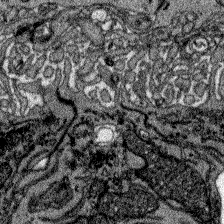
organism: Zebrafish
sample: Larval olfactory bulb